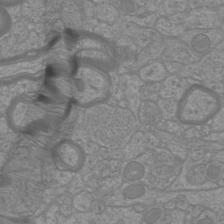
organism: Mouse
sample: Cortical neurons